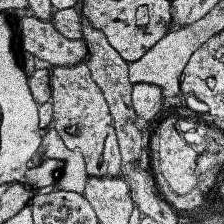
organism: Human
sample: Temporal Lobe